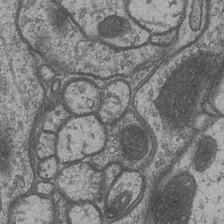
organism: Drosophila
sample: Optic medulla